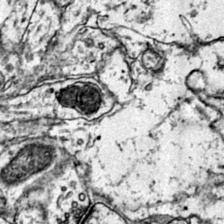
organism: Mouse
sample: Primary visual cortex